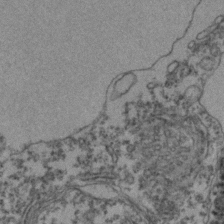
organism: Zebrafish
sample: Zebrafish embryo